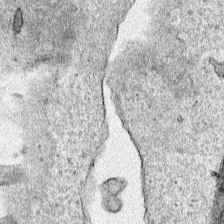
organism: Human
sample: Mitochondria in HCT116 cells